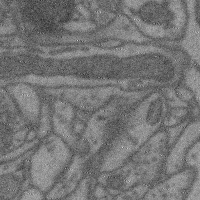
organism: Mouse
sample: Cerebral cortex